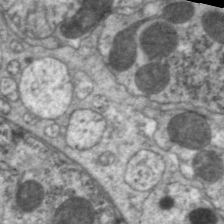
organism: C. elegans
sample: Pharynx